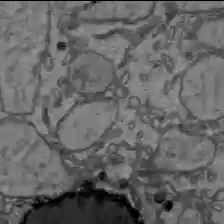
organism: C57BL Mouse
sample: Liver